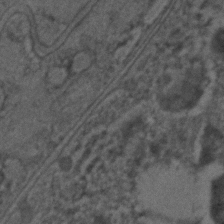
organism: C. elegans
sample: C. elegans embryo